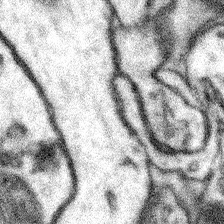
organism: Mouse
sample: Somatosensory cortex neuropil